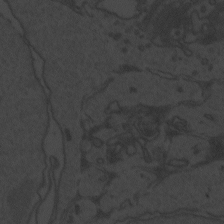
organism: Zebrafish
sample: Macrophage infected with Toxoplasma gondii